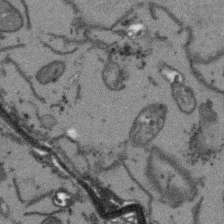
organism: Arabidopsis thaliana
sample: Root tip